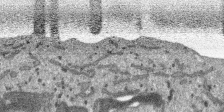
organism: Human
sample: Lung epithelial cells infected with SARS-CoV-2